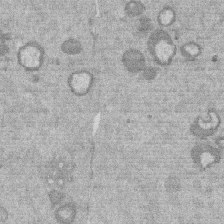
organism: Mouse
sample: Dividing mouse embryo 1 cell stage